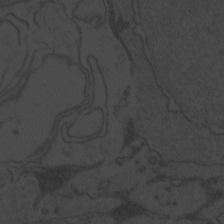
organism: Zebrafish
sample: Macrophage infected with Toxoplasma gondii